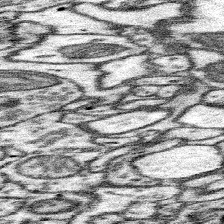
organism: Mouse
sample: Somatosensory cortex neuropil